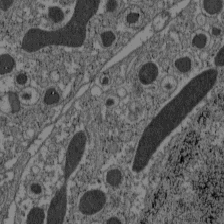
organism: C57BL Mouse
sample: Pancreatic islet